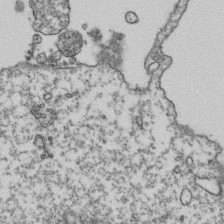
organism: Human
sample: Activated Jurkat CD4+ T cells